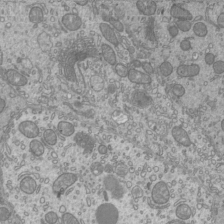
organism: Mouse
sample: Cilia; mouse epididymis